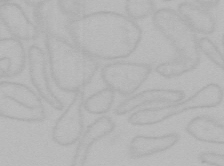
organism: Mouse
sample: Choroid plexus